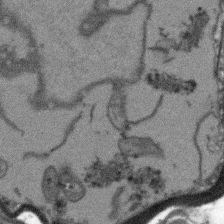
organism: Arabidopsis thaliana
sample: Root tip